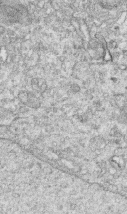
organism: Human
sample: HeLa cell HIV synapse